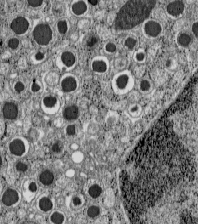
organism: C57BL Mouse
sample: Pancreatic islet